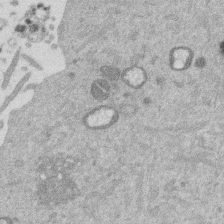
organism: Mouse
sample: Dividing mouse embryo 1 cell stage